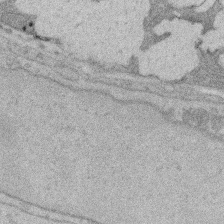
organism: Rat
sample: Salivary granule